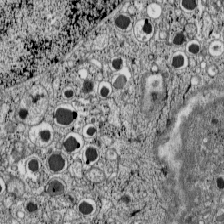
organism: C57BL Mouse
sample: Pancreatic islet